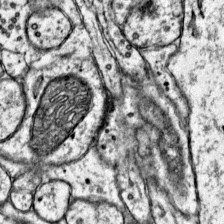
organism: Mouse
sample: Primary visual cortex